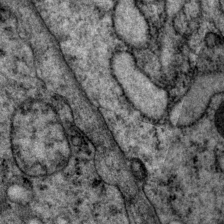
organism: P. pacificus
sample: Pharynx